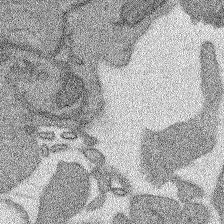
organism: Human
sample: HeLa cells